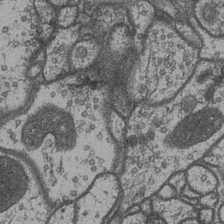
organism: Drosophila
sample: Optic medulla